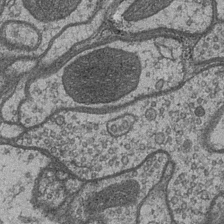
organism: Drosophila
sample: Optic medulla